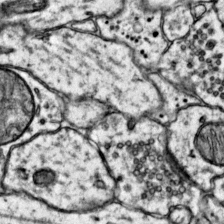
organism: Mouse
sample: Primary visual cortex